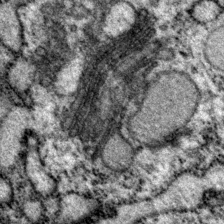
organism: P. pacificus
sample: Pharynx